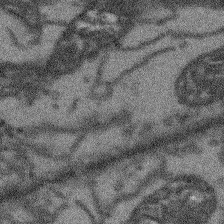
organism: Arabidopsis thaliana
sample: Root tip